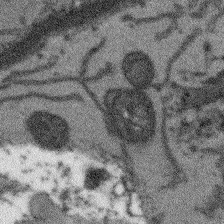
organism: Arabidopsis thaliana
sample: Root tip